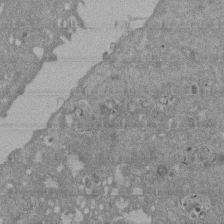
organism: Mouse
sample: ED-1 cell nuclei; centrioles